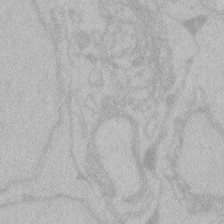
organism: Zebrafish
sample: Macrophage infected with Toxoplasma gondii